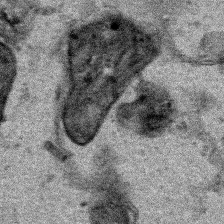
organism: Human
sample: Mitochondria in HCT116 cells